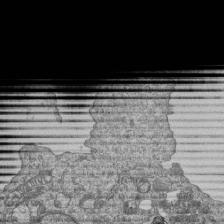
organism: Human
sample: MDA-MB-231 cells